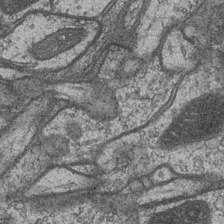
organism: Drosophila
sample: Optic medulla